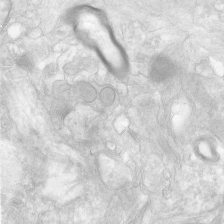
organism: Human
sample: Neocortex